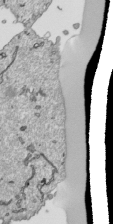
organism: Human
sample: Mitochondria in HCT116 cells